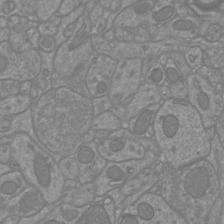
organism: Mouse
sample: Cortical neurons